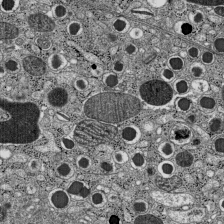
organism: C57BL Mouse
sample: Pancreatic islet